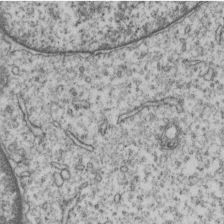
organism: Human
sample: MDA-MB-231 cells